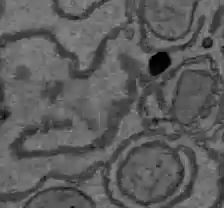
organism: C57BL Mouse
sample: Liver